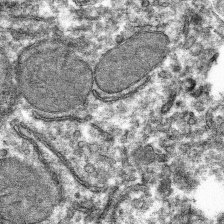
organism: Mouse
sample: Mouse hepatocytes